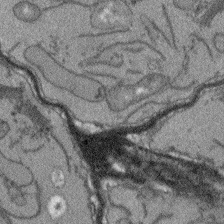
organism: Arabidopsis thaliana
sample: Root tip